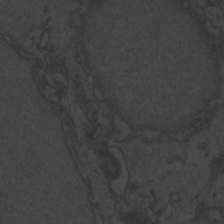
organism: Zebrafish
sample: Macrophage infected with Toxoplasma gondii